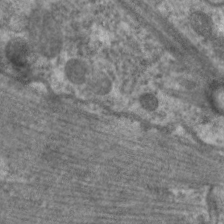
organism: C. elegans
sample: Pharynx